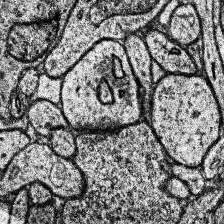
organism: Human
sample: Temporal Lobe